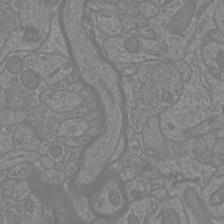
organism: Mouse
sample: Cortical neurons